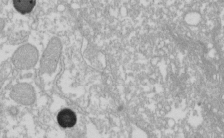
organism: Xenopus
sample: Cilia; centrioles in frog embryo cells